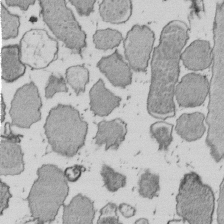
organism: E. coli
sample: Bacterial nucleoid